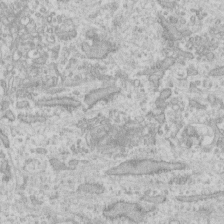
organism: Human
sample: Fibroblast cells